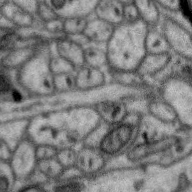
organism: Zebra finch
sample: Brain